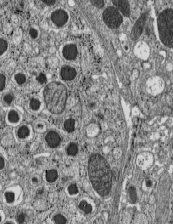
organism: C57BL Mouse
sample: Pancreatic islet